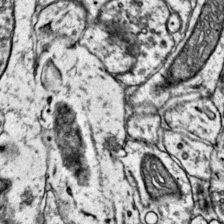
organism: Mouse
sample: Primary visual cortex